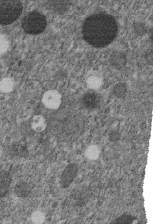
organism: C. elegans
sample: C. elegans embryo early stage